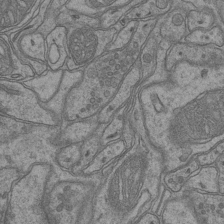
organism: Mouse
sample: CA1 Hippocampus